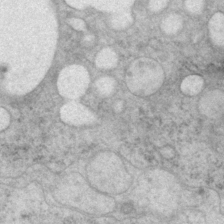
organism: P. pacificus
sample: Pharynx